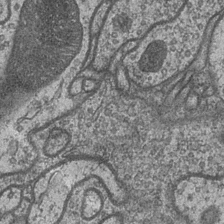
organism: Drosophila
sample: Optic medulla